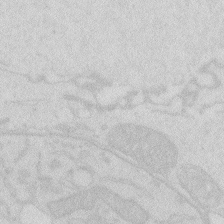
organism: Zebrafish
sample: Macrophage